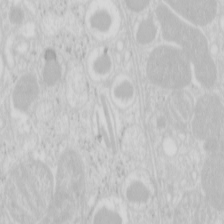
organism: Mouse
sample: Pancreas